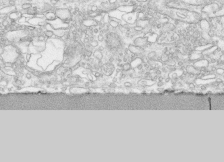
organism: Human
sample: CRL-1474